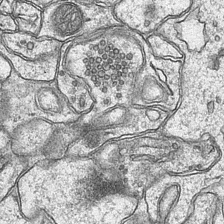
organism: Mouse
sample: CA1 Hippocampus